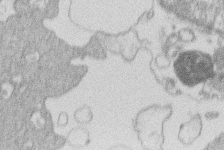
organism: Human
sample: Macrophage cells